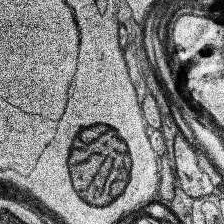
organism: Human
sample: Temporal Lobe